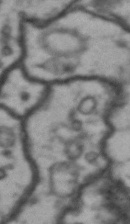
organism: Drosophila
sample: Brain